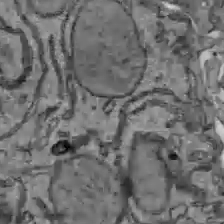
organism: C57BL Mouse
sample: Liver